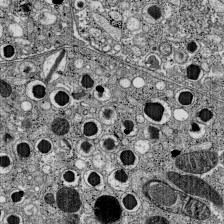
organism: C57BL Mouse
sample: Pancreatic islet